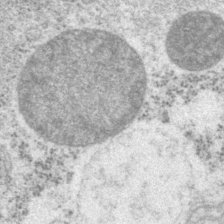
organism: P. pacificus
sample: Pharynx